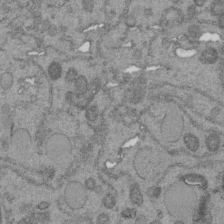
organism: C. elegans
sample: C. elegans embryo early stage